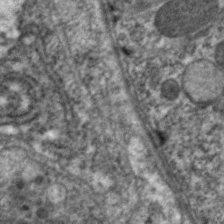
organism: C. elegans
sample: Pharynx